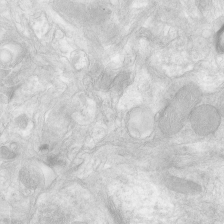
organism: Human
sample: Neocortex